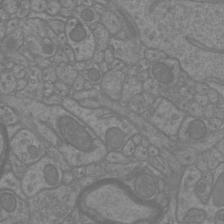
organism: Mouse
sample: Cortical neurons